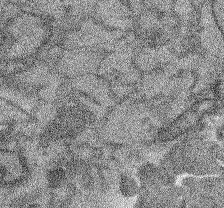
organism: Human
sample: HeLa cells